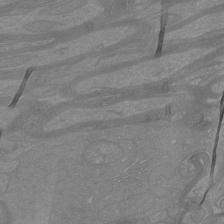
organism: Mouse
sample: Cortical neurons